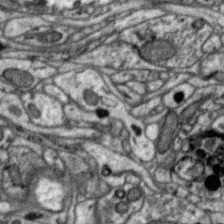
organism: Zebra finch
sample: Brain